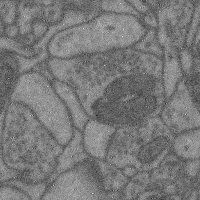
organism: Mouse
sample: Cerebral cortex